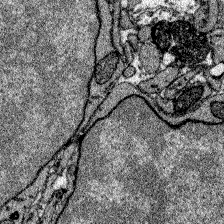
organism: Zebrafish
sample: Larval olfactory bulb